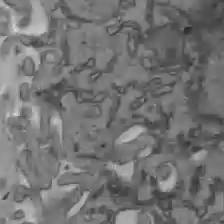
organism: C57BL Mouse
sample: Liver